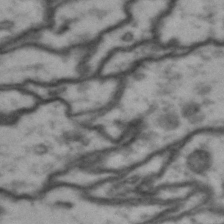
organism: Drosophila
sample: Brain